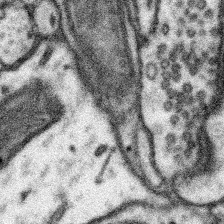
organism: Mouse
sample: Somatosensory cortex neuropil